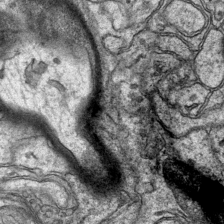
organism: Mouse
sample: CA1 Hippocampus